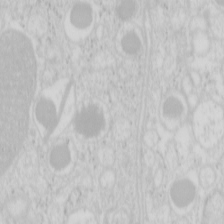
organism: Mouse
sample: Pancreas